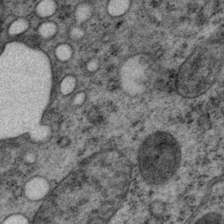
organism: P. pacificus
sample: Pharynx